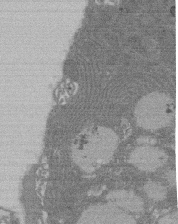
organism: Rat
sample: Salivary granule